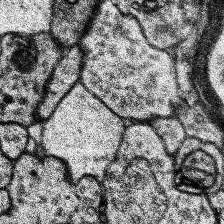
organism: Human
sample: Temporal Lobe